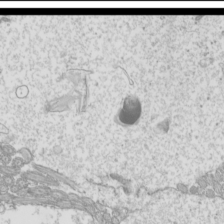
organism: Mouse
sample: Cilia; mouse epididymis